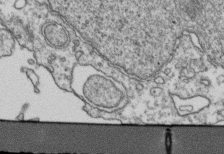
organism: Human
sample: Activated Jurkat CD4+ T cells